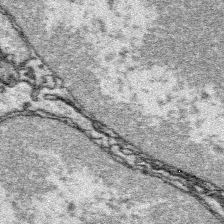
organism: Platynereis dumerilii